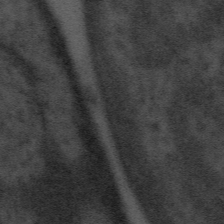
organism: Tuwongella immobilis